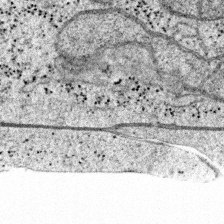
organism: Human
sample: HeLa cells